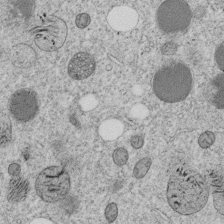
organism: C. elegans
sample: C. elegans embryo early stage